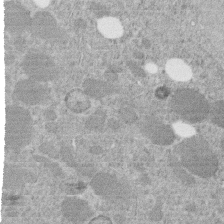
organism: C. elegans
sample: C. elegans embryo early stage